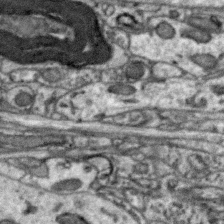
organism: Zebra finch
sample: Brain